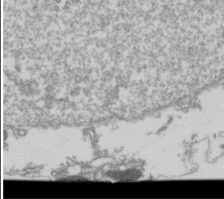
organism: Drosophila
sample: Cell division; meiosis; drosophila spermatocytes